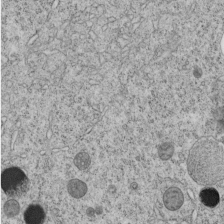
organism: C. elegans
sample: C. elegans embryo early stage